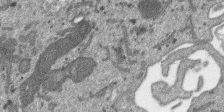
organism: Human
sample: Lung epithelial cells infected with SARS-CoV-2